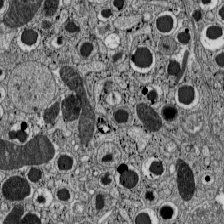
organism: C57BL Mouse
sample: Pancreatic islet